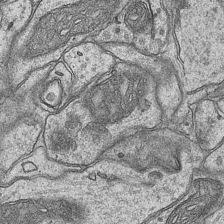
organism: Mouse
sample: CA1 Hippocampus